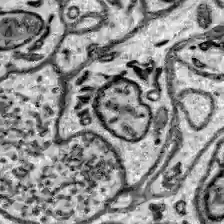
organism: Zebrafish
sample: Brain